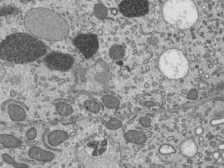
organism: Mouse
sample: Mouse epididymis efferent ductule cilia